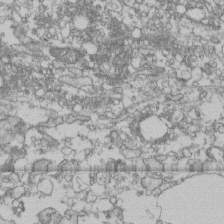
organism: Human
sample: Fibroblast cells